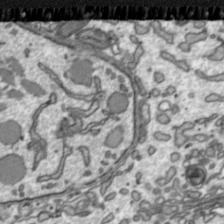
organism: Toxoplasma gondii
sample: Parasites in a vacuole inside a host cell